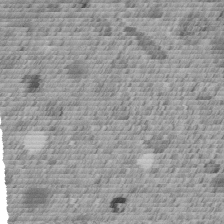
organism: C. elegans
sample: C. elegans embryo early stage